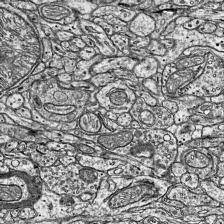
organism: Mouse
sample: Visual Cortex